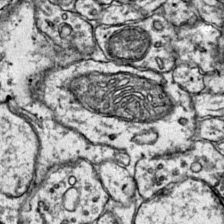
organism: Mouse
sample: Primary visual cortex